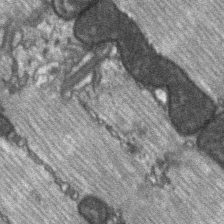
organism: C57BL Mouse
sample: Soleus